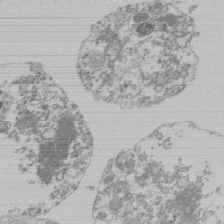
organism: Mouse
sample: Activated Pmel transgenic CD8+ T Cells